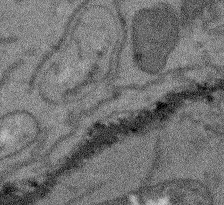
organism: Arabidopsis thaliana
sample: Root tip